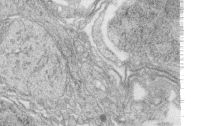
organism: Zebrafish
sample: synaptic ribbons in rod cells and cone cells